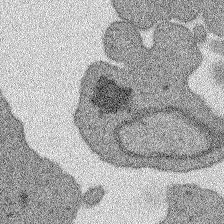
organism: Human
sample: HeLa cells